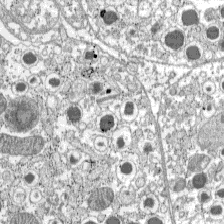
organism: C57BL Mouse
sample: Pancreatic islet